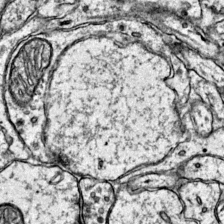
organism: Mouse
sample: Primary visual cortex